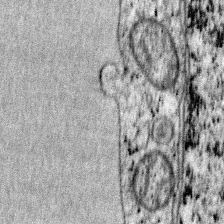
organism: Human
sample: HeLa cells